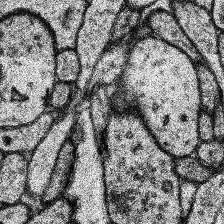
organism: Human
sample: Temporal Lobe